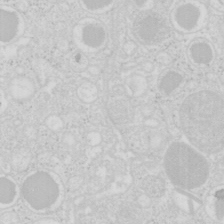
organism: Mouse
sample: Pancreas